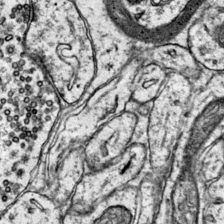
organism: Mouse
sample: Primary visual cortex